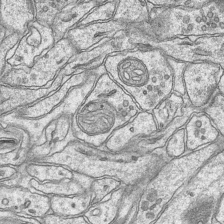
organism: Mouse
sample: CA1 Hippocampus